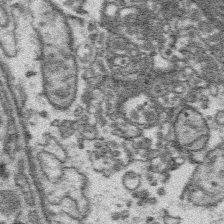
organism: Platynereis dumerilii